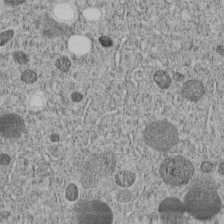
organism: C. elegans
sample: C. elegans embryo early stage